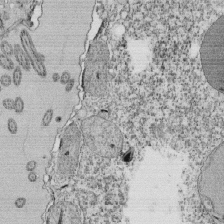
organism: Tetrahymena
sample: Cilia in tetrahymena